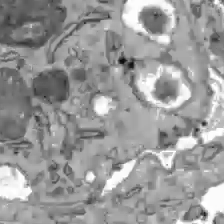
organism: C57BL Mouse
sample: Liver